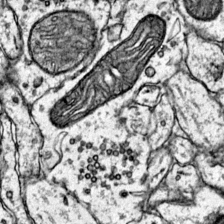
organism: Mouse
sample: Primary visual cortex